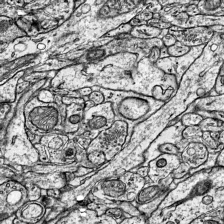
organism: Mouse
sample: Visual Cortex